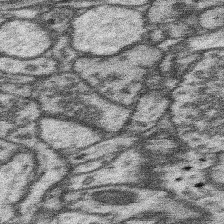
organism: Mouse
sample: Somatosensory cortex neuropil